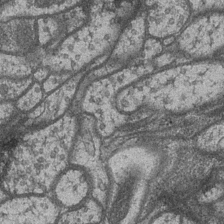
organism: Drosophila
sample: Optic medulla